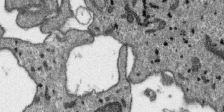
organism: Human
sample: Lung epithelial cells, uninfected (mock) control